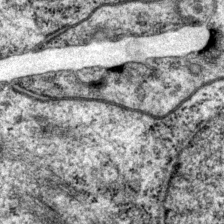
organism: P. pacificus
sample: Pharynx